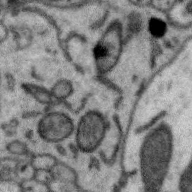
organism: Zebra finch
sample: Brain